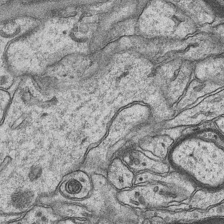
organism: Mouse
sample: CA1 Hippocampus